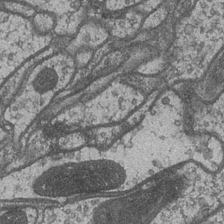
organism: Drosophila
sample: Optic medulla